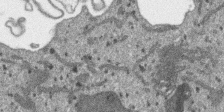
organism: Human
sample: Lung epithelial cells infected with SARS-CoV-2